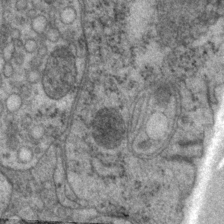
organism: P. pacificus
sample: Pharynx